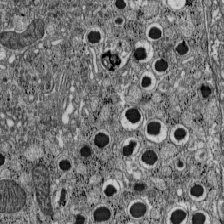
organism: C57BL Mouse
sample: Pancreatic islet